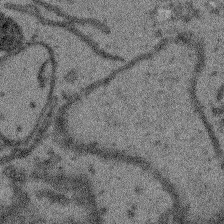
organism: Arabidopsis thaliana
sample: Root tip